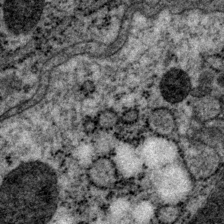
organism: P. pacificus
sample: Pharynx